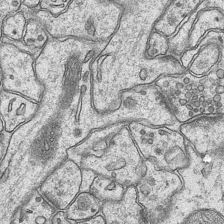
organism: Mouse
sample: CA1 Hippocampus